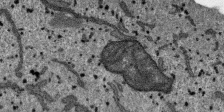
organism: Human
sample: Lung epithelial cells, uninfected (mock) control